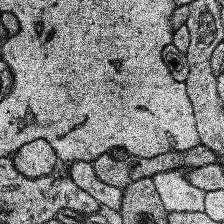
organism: Human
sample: Temporal Lobe